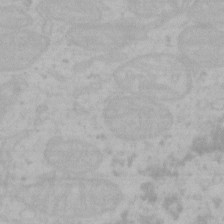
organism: Mouse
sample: Choroid plexus